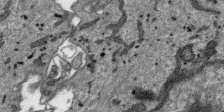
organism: Human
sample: Lung epithelial cells, uninfected (mock) control